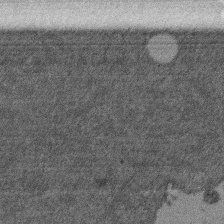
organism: Mouse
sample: Dividing mouse embryo 1 cell stage